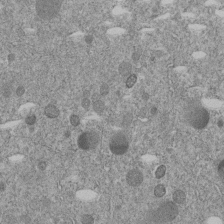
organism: C. elegans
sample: C. elegans embryo early stage